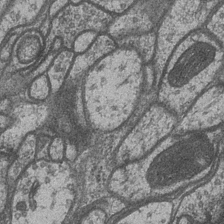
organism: Drosophila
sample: Optic medulla